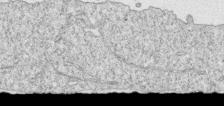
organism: Human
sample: HeLa cell HIV synapse